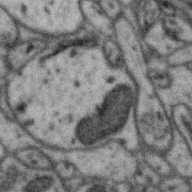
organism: Zebra finch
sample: Brain